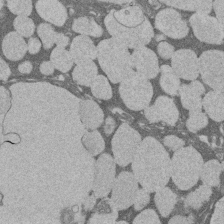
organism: Rat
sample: Salivary granule